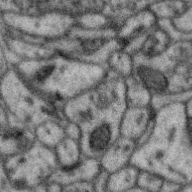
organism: Zebra finch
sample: Brain